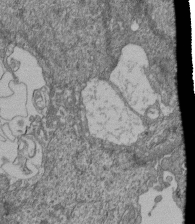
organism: Human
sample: Retinal organoid Rod and Cone cells